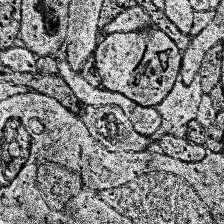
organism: Human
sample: Temporal Lobe